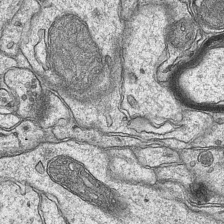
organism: Mouse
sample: CA1 Hippocampus